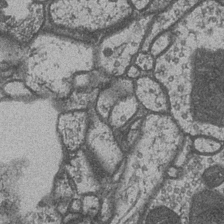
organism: Drosophila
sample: Optic medulla